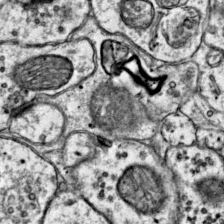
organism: Mouse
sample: Primary visual cortex